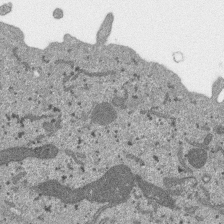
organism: Human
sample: Lung epithelial cells infected with SARS-CoV-2